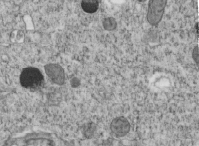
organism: C. elegans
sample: C. elegans embryo early stage